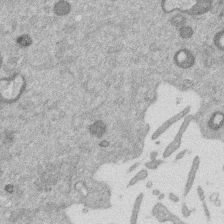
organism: Mouse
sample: Dividing mouse embryo 1 cell stage